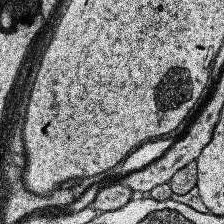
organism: Human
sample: Temporal Lobe